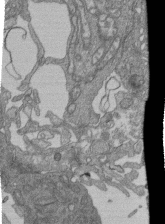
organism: Human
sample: Retinal organoid Rod and Cone cells